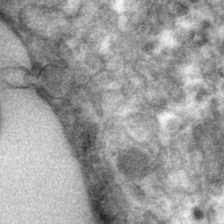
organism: Mouse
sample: Mouse hepatocytes